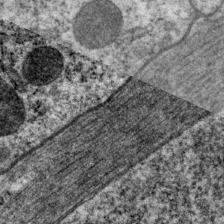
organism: P. pacificus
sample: Pharynx